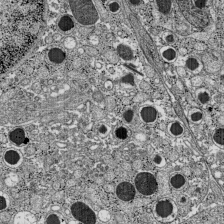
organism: C57BL Mouse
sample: Pancreatic islet